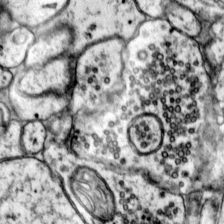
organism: Mouse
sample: Primary visual cortex